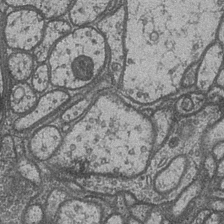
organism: Drosophila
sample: Optic medulla